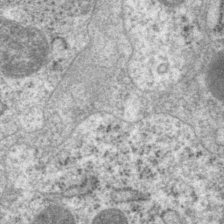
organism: P. pacificus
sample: Pharynx